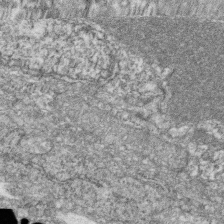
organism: Zebrafish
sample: Cilia; retinal pigment epithelium